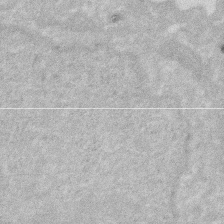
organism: Human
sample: HIV infected U937 cells